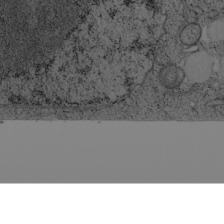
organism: African green monkey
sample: COS-7 cells